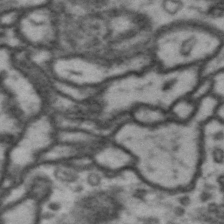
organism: Drosophila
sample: Brain